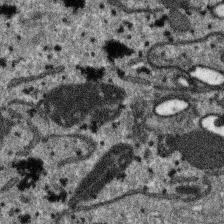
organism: Human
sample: Lung epithelial cells infected with SARS-CoV-2